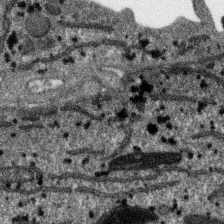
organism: Human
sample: Lung epithelial cells infected with SARS-CoV-2